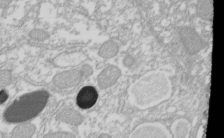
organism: Xenopus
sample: Cilia; centrioles in frog embryo cells